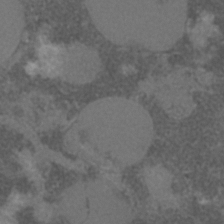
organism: C. elegans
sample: C. elegans embryo